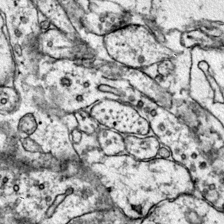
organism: Mouse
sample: Primary visual cortex